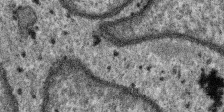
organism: Human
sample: Lung epithelial cells infected with SARS-CoV-2